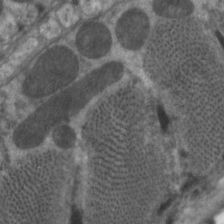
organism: C. elegans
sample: Pharynx